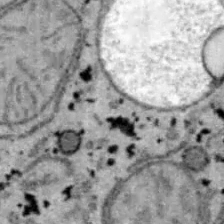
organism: Mouse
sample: Liver from an obese (ob/ob) mouse